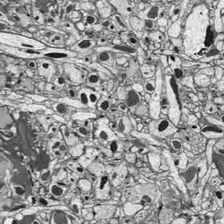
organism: Drosophila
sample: Optic lobe